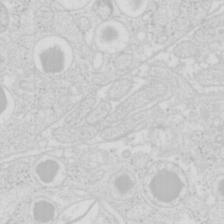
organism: Mouse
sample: Pancreas